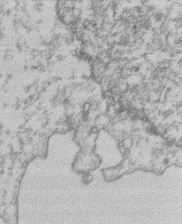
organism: Mouse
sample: T cell stromal cell synapse